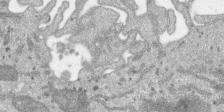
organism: Human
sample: Lung epithelial cells infected with SARS-CoV-2